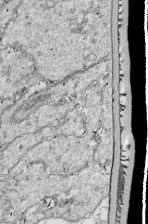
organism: Drosophila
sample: Cell division; meiosis; drosophila spermatocytes